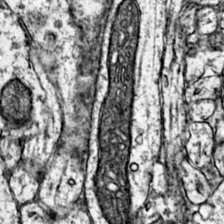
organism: Mouse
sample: Primary visual cortex